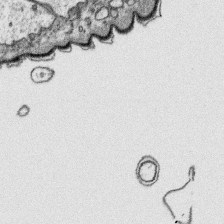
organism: Platynereis dumerilii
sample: Parapodia